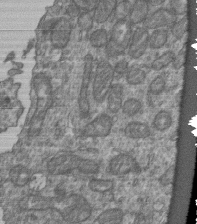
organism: Human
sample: Retinal organoid Rod and Cone cells